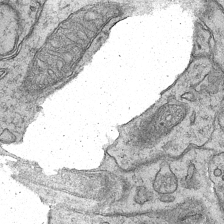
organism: Mouse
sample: CA1 Hippocampus